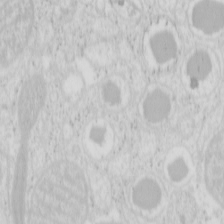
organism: Mouse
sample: Pancreas